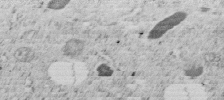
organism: C. elegans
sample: C. elegans embryo early stage